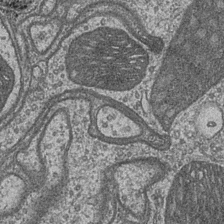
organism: Drosophila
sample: Optic medulla